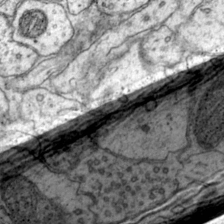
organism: Mouse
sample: Primary visual cortex